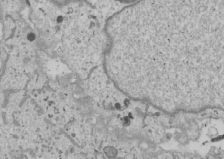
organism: Human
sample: Mitochondria in U2OS cells